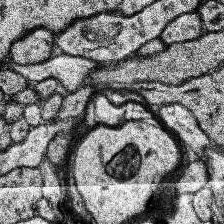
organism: Human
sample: Temporal Lobe